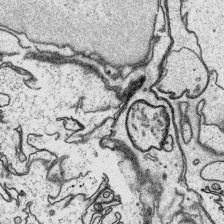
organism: Platynereis dumerilii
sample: Parapodia